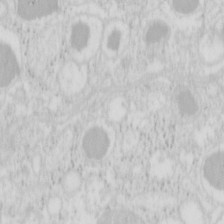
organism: Mouse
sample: Pancreas